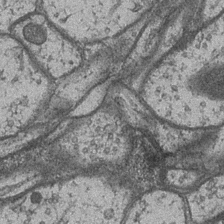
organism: Drosophila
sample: Optic medulla